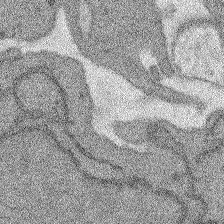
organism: Human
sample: HeLa cells